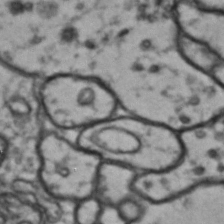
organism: Drosophila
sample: Brain